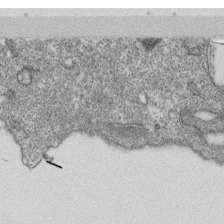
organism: African green monkey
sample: Vero E6 cells infected with SARS-CoV-2